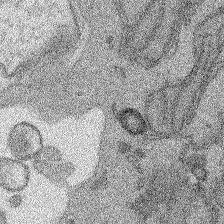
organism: Human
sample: HeLa cells